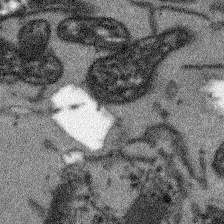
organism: Arabidopsis thaliana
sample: Root tip